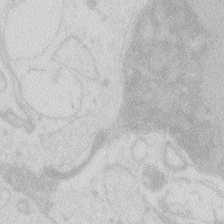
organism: Zebrafish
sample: Macrophage